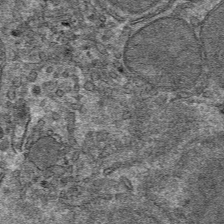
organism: Mouse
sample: Mouse hepatocytes